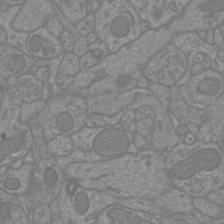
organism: Mouse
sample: Cortical neurons